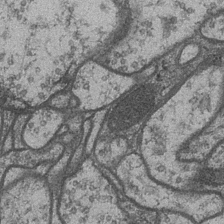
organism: Drosophila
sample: Optic medulla